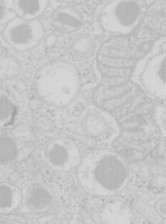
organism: Mouse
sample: Pancreas